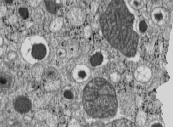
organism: C57BL Mouse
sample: Pancreatic islet